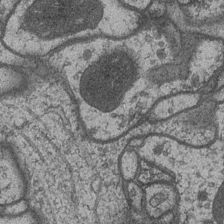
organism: Drosophila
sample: Optic medulla